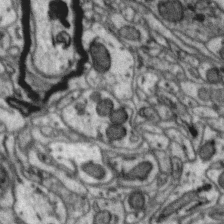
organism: Zebra finch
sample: Brain